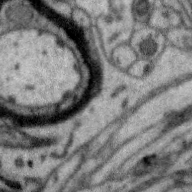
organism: Zebra finch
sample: Brain